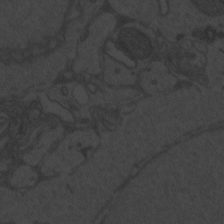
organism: Zebrafish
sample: Macrophage infected with Toxoplasma gondii